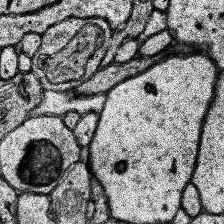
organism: Human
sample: Temporal Lobe